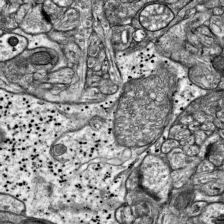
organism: Mouse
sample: Visual Cortex